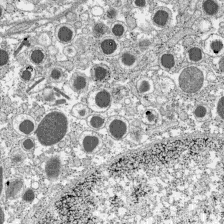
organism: C57BL Mouse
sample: Pancreatic islet